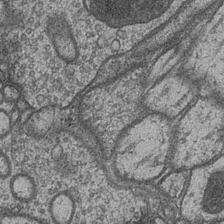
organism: Drosophila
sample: Optic medulla